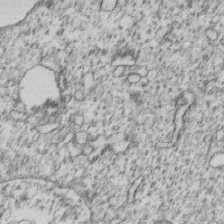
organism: Human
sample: MDA-MB-231 cells